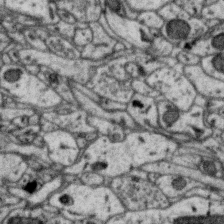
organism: Zebra finch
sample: Brain